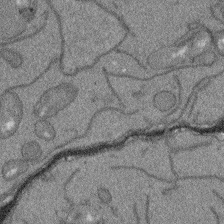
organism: Arabidopsis thaliana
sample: Root tip